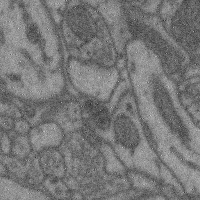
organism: Mouse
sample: Cerebral cortex